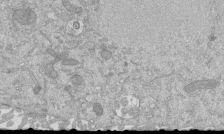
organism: Mouse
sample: ED-1 cell nuclei; centrioles